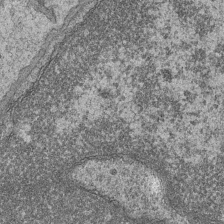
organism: Mouse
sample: CA1 Hippocampus